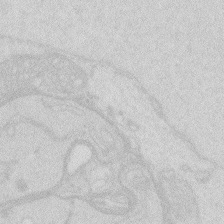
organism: Zebrafish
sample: Macrophage